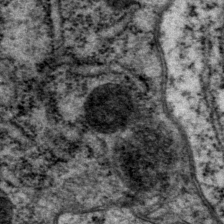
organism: P. pacificus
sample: Pharynx